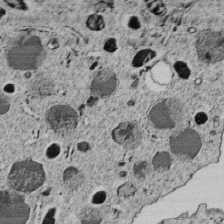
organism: C. elegans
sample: C. elegans embryo early stage